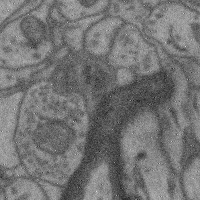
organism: Mouse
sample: Cerebral cortex